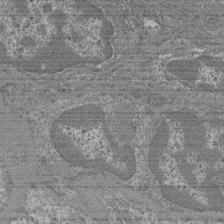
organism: Mouse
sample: Glomerulus